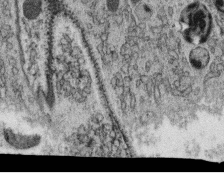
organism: C. elegans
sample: C. elegans oocyte; sperm cells